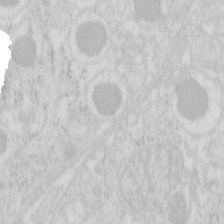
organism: Mouse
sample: Pancreas